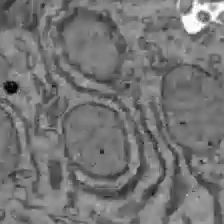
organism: C57BL Mouse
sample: Liver